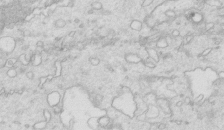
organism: Mouse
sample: Multiciliated cells